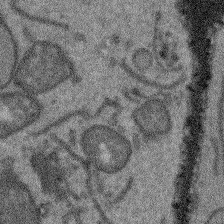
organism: Arabidopsis thaliana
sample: Root tip